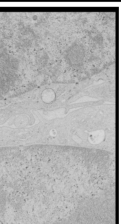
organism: Human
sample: Mitochondria in HCT116 cells